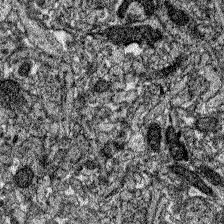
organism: Zebrafish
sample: Larval olfactory bulb